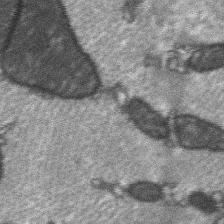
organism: C57BL Mouse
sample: Soleus